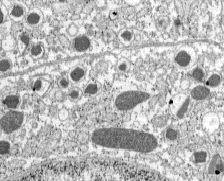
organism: C57BL Mouse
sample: Pancreatic islet